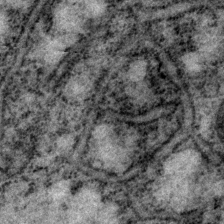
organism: P. pacificus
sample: Pharynx